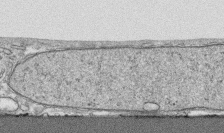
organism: Human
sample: CRL-1474